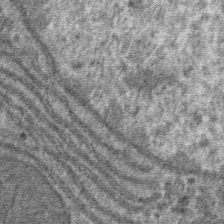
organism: Mouse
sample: Mouse hepatocytes